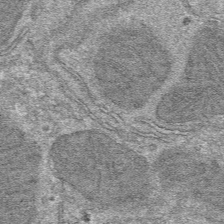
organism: Mouse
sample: Mouse hepatocytes